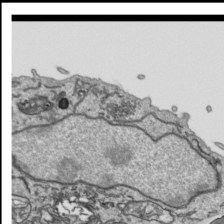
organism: Human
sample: Mitochondria in HCT116 cells